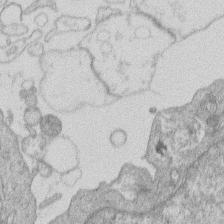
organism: Human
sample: Macrophage cells